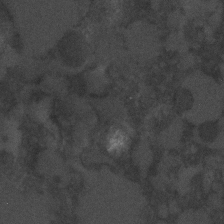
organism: C. elegans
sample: C. elegans embryo